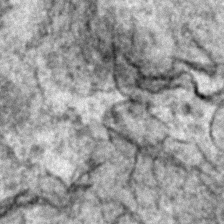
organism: Zebrafish